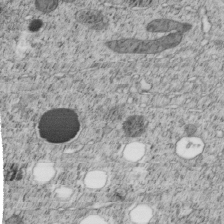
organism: C. elegans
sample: C. elegans embryo early stage